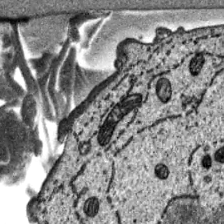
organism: Human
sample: HeLa cells